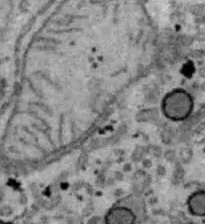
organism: Mouse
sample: Liver from an obese (ob/ob) mouse